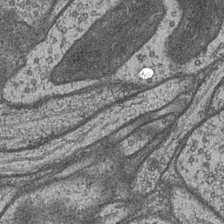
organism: Drosophila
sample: Optic medulla